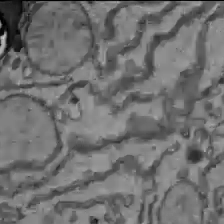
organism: C57BL Mouse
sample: Liver